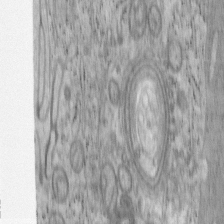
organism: Human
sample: HeLa cells